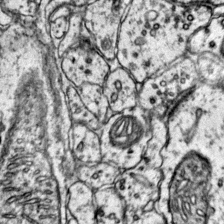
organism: Mouse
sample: Primary visual cortex